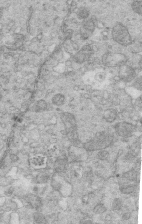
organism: Mouse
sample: Multiciliated cells